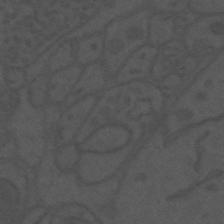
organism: Mouse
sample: Suprachiasmatic nucleus